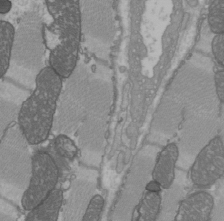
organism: C57BL Mouse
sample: Heart